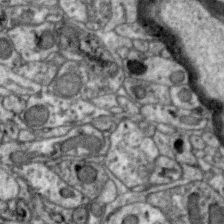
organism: Zebra finch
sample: Brain